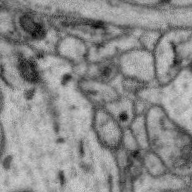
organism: Zebra finch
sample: Brain